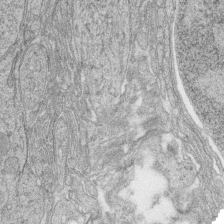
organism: Zebrafish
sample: synaptic ribbons in rod cells and cone cells